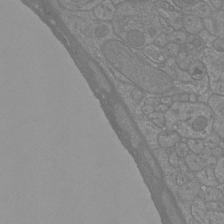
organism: Mouse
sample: Cortical neurons